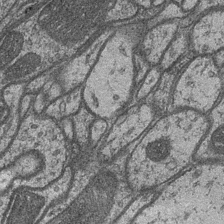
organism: Drosophila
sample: Optic medulla